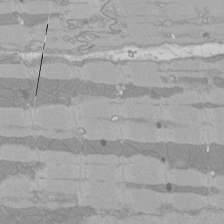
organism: Rat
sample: Left ventricle